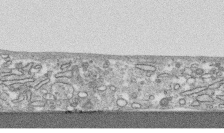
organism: Human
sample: CRL-1474